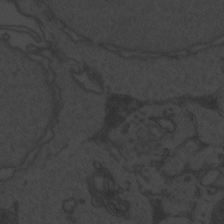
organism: Zebrafish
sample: Macrophage infected with Toxoplasma gondii